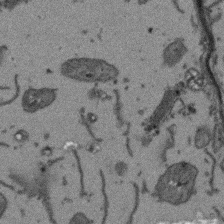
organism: Arabidopsis thaliana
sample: Root tip